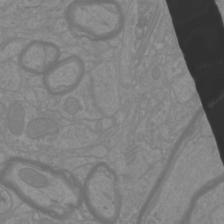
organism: Mouse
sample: Cortical neurons